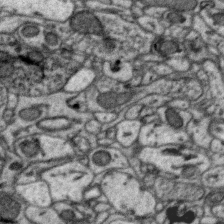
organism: Zebra finch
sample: Brain